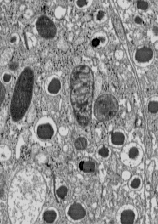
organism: C57BL Mouse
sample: Pancreatic islet